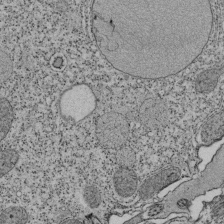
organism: Tetrahymena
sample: Cilia in tetrahymena